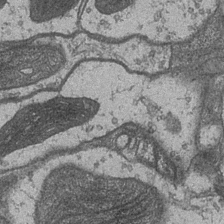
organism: Drosophila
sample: Optic medulla